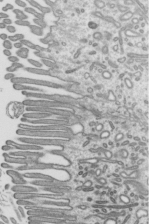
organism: Mouse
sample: Mouse epididymis efferent ductule cilia